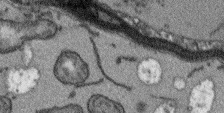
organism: Arabidopsis thaliana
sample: Root tip